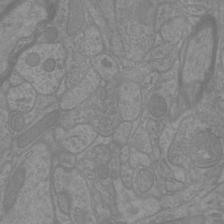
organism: Mouse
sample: Cortical neurons